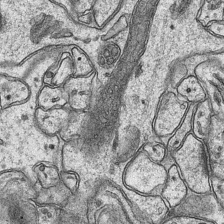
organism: Mouse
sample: CA1 Hippocampus